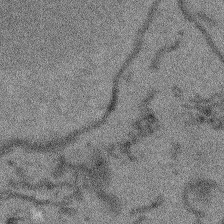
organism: Arabidopsis thaliana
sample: Root tip